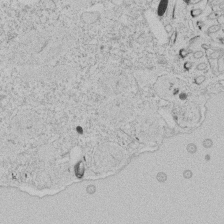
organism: Tetrahymena